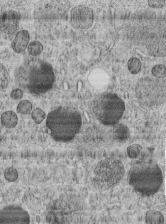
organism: C. elegans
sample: C. elegans embryo early stage